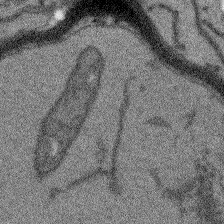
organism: Arabidopsis thaliana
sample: Root tip